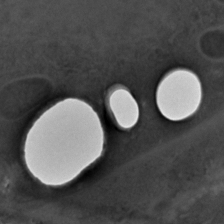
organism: C. elegans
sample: C. elegans embryo